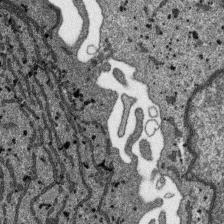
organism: Human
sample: Lung epithelial cells infected with SARS-CoV-2